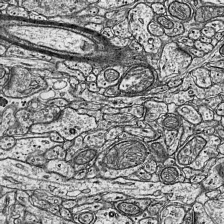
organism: Mouse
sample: Visual Cortex